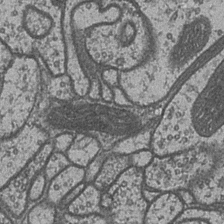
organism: Drosophila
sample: Optic medulla